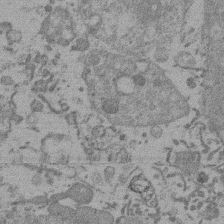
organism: Mouse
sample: Dividing mouse embryo 1 cell stage